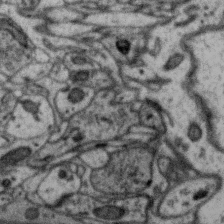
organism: Zebra finch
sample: Brain